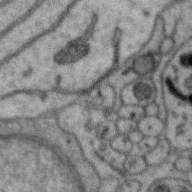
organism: Zebra finch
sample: Brain